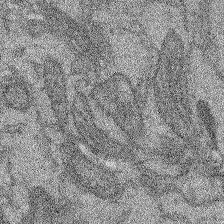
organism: Human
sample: HeLa cells